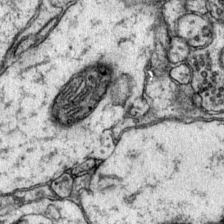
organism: Mouse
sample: Primary visual cortex